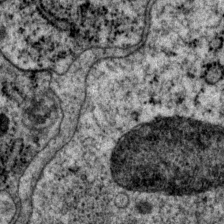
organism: P. pacificus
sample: Pharynx